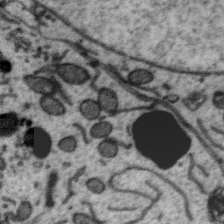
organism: Zebra finch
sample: Brain